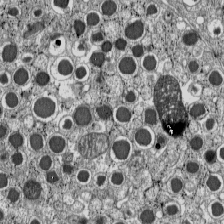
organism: C57BL Mouse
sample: Pancreatic islet